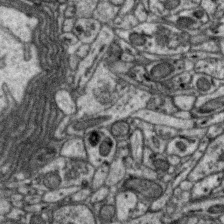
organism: Zebra finch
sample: Brain